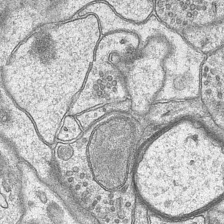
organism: Mouse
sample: CA1 Hippocampus